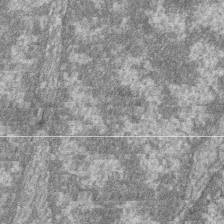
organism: Zebrafish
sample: Cilia; retinal pigment epithelium